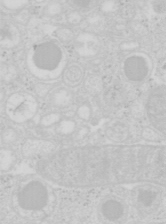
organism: Mouse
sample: Pancreas